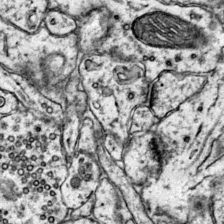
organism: Mouse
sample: Primary visual cortex